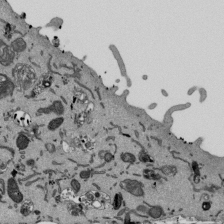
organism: Mouse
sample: ED-1 cell nuclei; centrioles